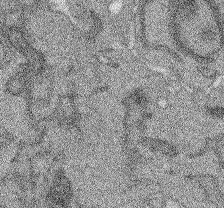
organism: Human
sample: HeLa cells